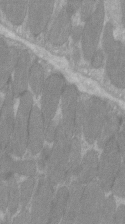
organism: C57BL Mouse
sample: Tibialis anterior muscle cell